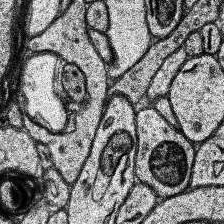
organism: Human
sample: Temporal Lobe